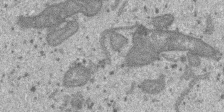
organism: Human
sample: Lung epithelial cells infected with SARS-CoV-2